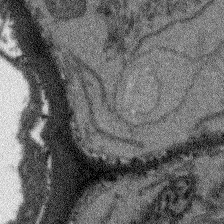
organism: Arabidopsis thaliana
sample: Root tip